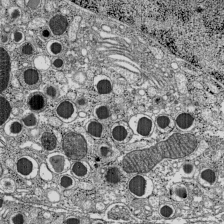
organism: C57BL Mouse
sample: Pancreatic islet